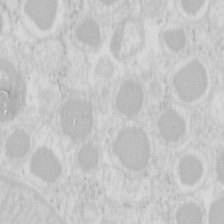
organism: Mouse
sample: Pancreas